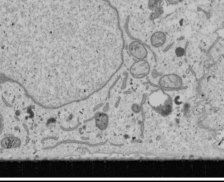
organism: Human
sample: Mitochondria in U2OS cells